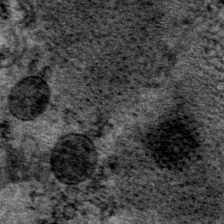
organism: P. pacificus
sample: Pharynx